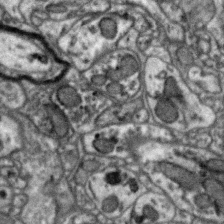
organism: Zebra finch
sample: Brain